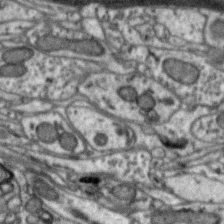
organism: Zebra finch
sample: Brain